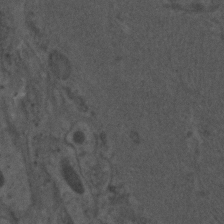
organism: C. elegans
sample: C. elegans embryo